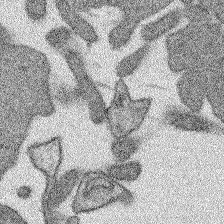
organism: Human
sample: HeLa cells